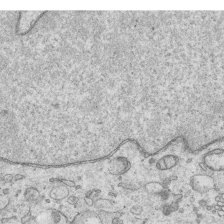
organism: Human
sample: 1205lu cells